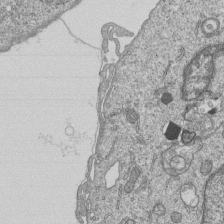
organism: Human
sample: MDA-MB-231 cells